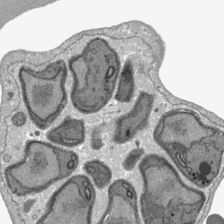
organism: Plasmodium falciparum